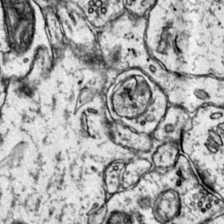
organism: Mouse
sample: Primary visual cortex